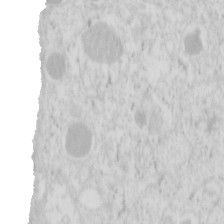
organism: Mouse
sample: Pancreas